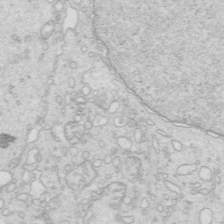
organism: Mouse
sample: Multiciliated cells